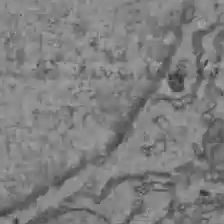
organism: C57BL Mouse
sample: Liver